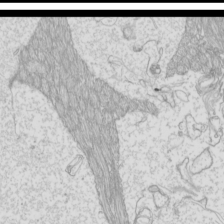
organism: Mouse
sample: Cilia; mouse epididymis